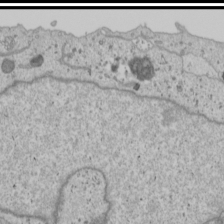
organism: Human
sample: Mitochondria in U2OS cells